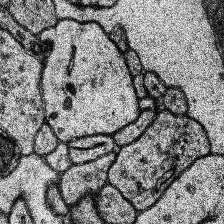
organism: Human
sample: Temporal Lobe